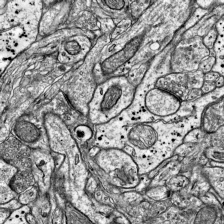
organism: Mouse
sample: Visual Cortex